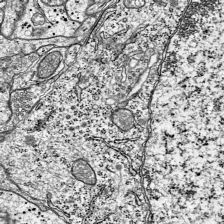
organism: Mouse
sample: Visual Cortex